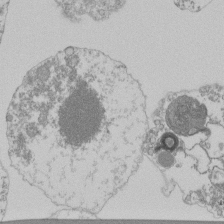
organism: Mouse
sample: Activated Pmel transgenic CD8+ T Cells